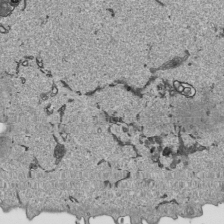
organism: Human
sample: Mitochondria in HCT116 cells